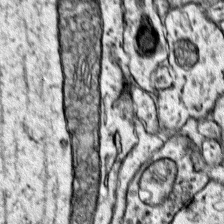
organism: Mouse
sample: Primary visual cortex